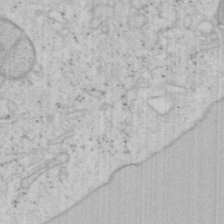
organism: Human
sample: HeLa cells